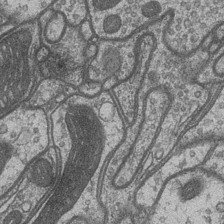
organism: Drosophila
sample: Optic medulla